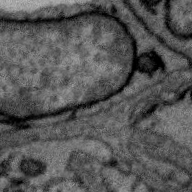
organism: Zebra finch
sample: Brain